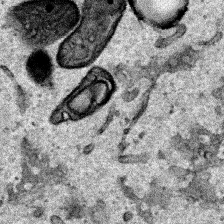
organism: Human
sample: Mitochondria in HCT116 cells